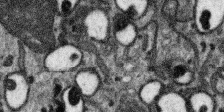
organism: Human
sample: Lung epithelial cells infected with SARS-CoV-2